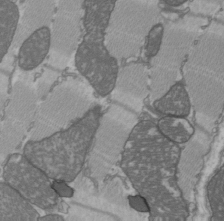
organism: C57BL Mouse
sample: Heart